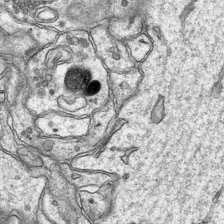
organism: Mouse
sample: CA1 Hippocampus